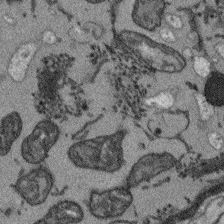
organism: Arabidopsis thaliana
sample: Root tip